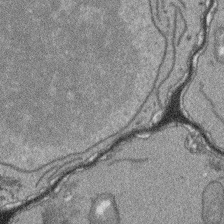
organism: Arabidopsis thaliana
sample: Root tip